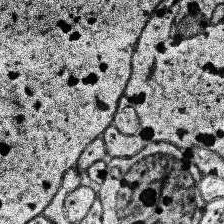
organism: Human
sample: Temporal Lobe